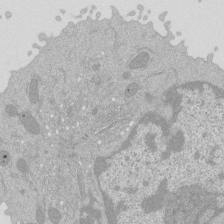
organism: Mouse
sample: Activated Pmel transgenic CD8+ T Cells